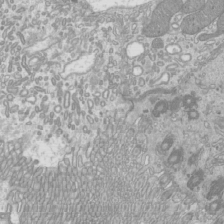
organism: Mouse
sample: Cilia; mouse epididymis